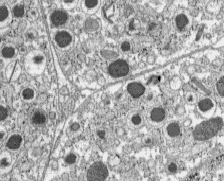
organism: C57BL Mouse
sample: Pancreatic islet